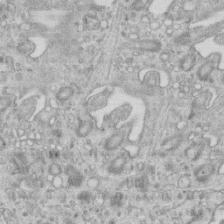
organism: Mouse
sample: Centriole in ependymal cells